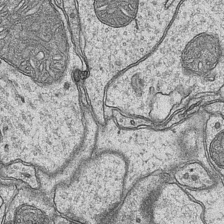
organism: Mouse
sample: CA1 Hippocampus